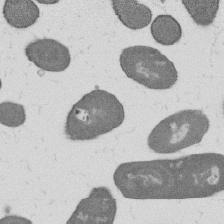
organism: B. subtilis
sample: Bacterial spore